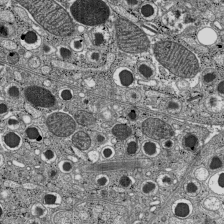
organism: C57BL Mouse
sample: Pancreatic islet